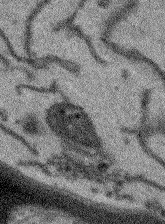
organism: Arabidopsis thaliana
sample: Root tip